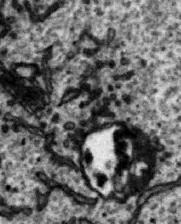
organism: Human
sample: HeLa cells